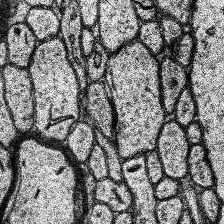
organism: Human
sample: Temporal Lobe